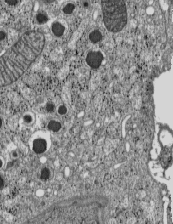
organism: C57BL Mouse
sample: Pancreatic islet